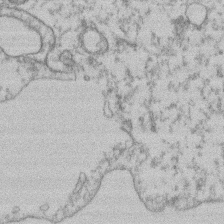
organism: Mouse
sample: T cell stromal cell synapse